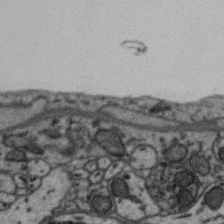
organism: Zebra finch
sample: Brain